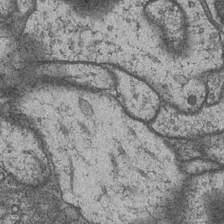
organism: Drosophila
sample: Optic medulla